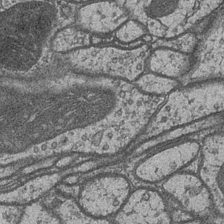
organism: Drosophila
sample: Optic medulla